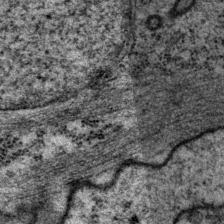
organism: P. pacificus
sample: Pharynx